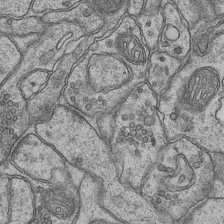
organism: Mouse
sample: CA1 Hippocampus